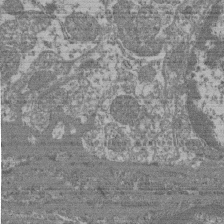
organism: Mouse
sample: Glomerulus